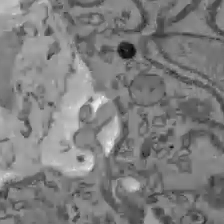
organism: C57BL Mouse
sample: Liver